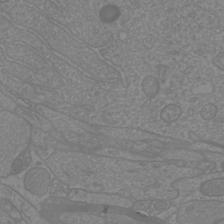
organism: Mouse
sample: Cortical neurons